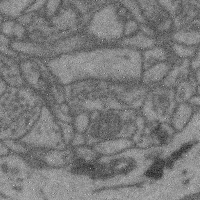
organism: Mouse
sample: Cerebral cortex